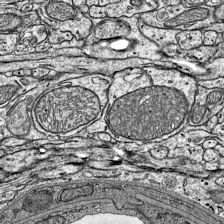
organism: Mouse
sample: Visual Cortex